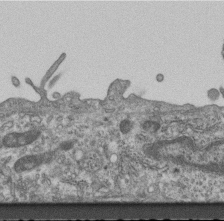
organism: Mouse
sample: Centriole in ependymal cells